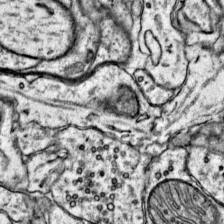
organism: Mouse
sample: Primary visual cortex